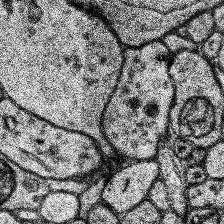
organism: Human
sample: Temporal Lobe